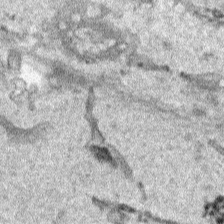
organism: Human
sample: Mitochondria in HCT116 cells